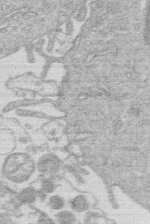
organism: Human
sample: Macrophage cells